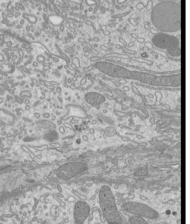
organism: Mouse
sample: Cilia; mouse epididymis